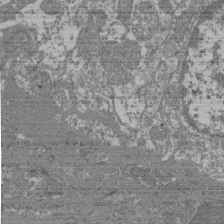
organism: Mouse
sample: Glomerulus